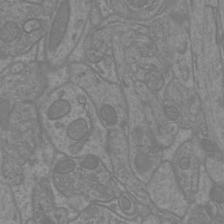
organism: Mouse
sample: Cortical neurons